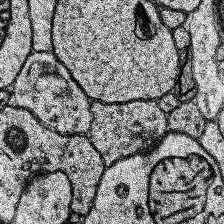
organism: Human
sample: Temporal Lobe